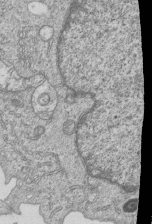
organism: Human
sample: MDA-MB-231 cells